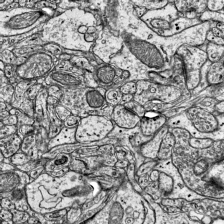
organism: Mouse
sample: Visual Cortex